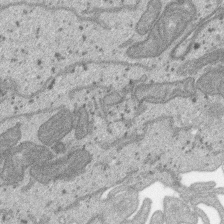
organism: Human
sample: Lung epithelial cells infected with SARS-CoV-2